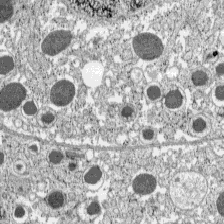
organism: C57BL Mouse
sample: Pancreatic islet